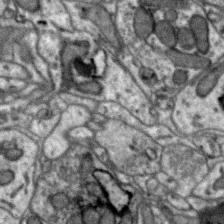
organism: Zebra finch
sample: Brain